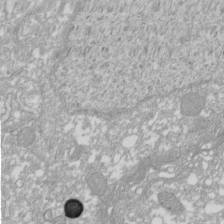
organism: Xenopus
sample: Cilia; centrioles in frog embryo cells